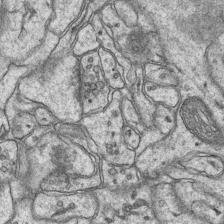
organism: Mouse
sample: CA1 Hippocampus